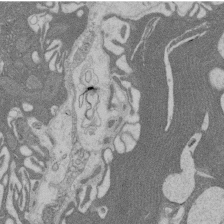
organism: Rat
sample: Salivary granule